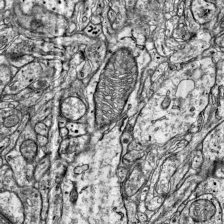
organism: Mouse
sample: Visual Cortex